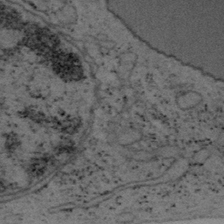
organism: Human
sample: HeLa cells